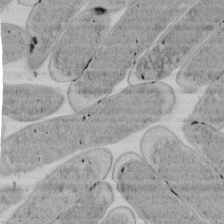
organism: E. coli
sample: Bacterial nucleoid